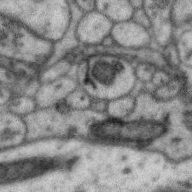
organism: Zebra finch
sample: Brain